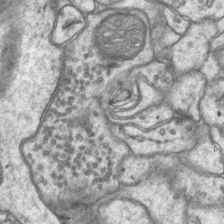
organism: Mouse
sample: CA1 Hippocampus